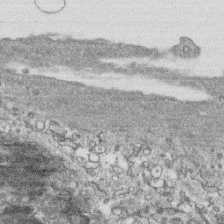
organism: Human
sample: CRL-1474